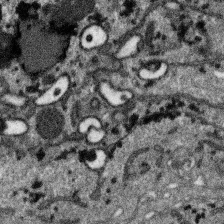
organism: Human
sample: Lung epithelial cells infected with SARS-CoV-2